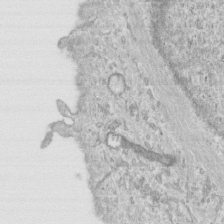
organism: Human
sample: Centriole in RPE cells